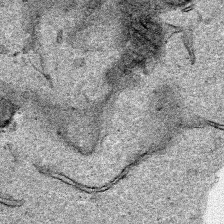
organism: Human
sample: Mitochondria in HCT116 cells